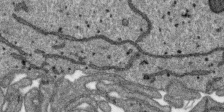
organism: Human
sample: Lung epithelial cells, uninfected (mock) control